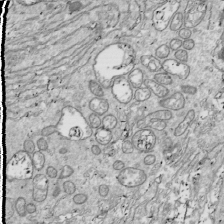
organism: Drosophila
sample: Cell division; meiosis; drosophila spermatocytes